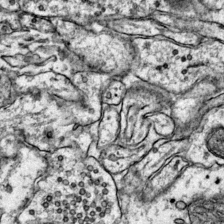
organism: Mouse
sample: Primary visual cortex